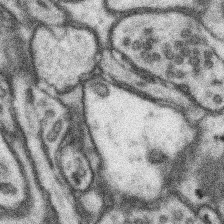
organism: Mouse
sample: Somatosensory cortex neuropil